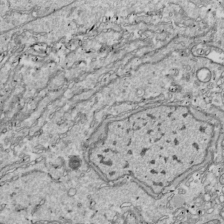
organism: Drosophila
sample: Cell division; meiosis; drosophila spermatocytes